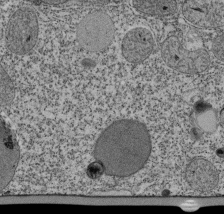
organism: Tetrahymena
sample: Cilia in tetrahymena